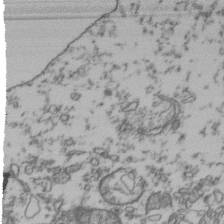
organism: Human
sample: Activated Jurkat CD4+ T cells